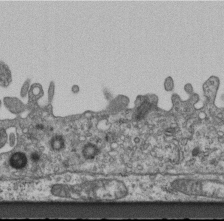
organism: Mouse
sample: Centriole in ependymal cells